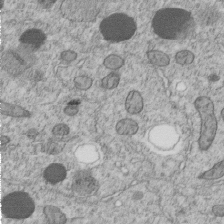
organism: C. elegans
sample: C. elegans embryo early stage